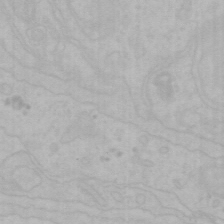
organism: Mouse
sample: Choroid plexus